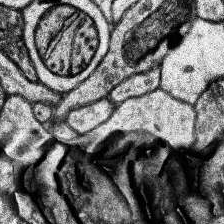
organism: Human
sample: Temporal Lobe